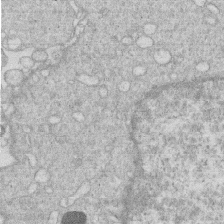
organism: Human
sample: Macrophage cells